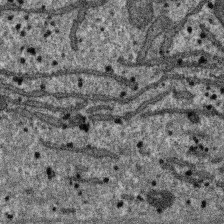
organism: Human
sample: Lung epithelial cells infected with SARS-CoV-2